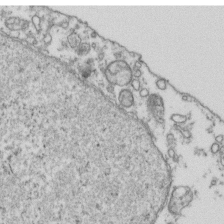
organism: Human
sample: Activated Jurkat CD4+ T cells